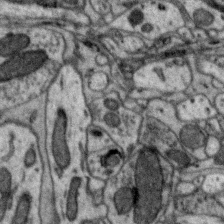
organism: Zebra finch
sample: Brain